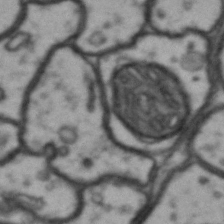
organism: Drosophila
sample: Brain